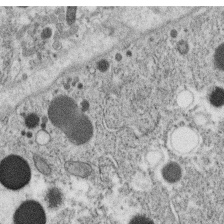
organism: C. elegans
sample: C. elegans oocyte; sperm cells